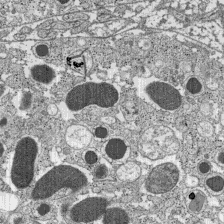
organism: C57BL Mouse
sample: Pancreatic islet